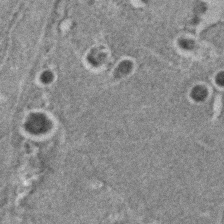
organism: C. elegans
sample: C. elegans embryo